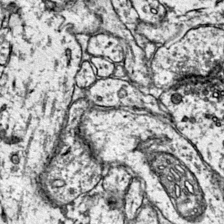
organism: Mouse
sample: Primary visual cortex